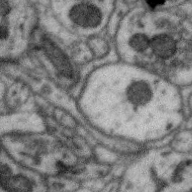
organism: Zebra finch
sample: Brain